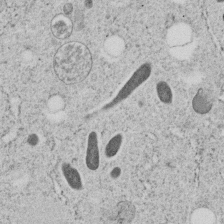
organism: C. elegans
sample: C. elegans embryo early stage